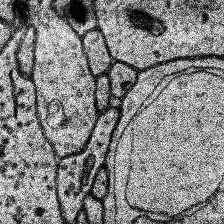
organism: Human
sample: Temporal Lobe